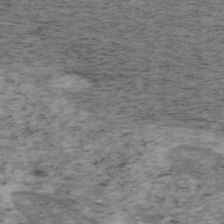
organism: Mouse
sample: OT-I killer T cells with ID8 ovarian cancer cells